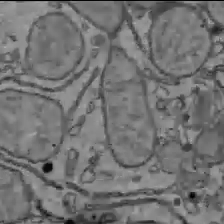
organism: C57BL Mouse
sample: Liver